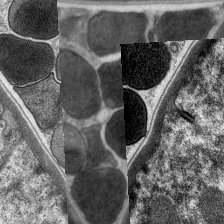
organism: C. elegans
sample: Pharynx